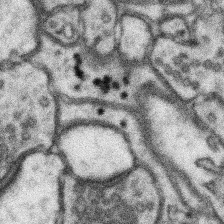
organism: Mouse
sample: Somatosensory cortex neuropil